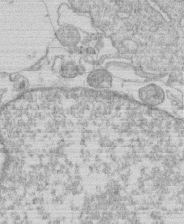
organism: Human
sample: Macrophage cells